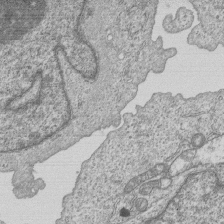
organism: Human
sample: MDA-MB-231 cells